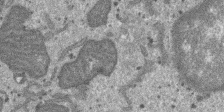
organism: Human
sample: Lung epithelial cells infected with SARS-CoV-2